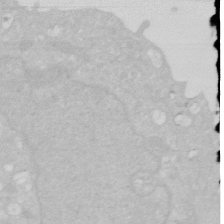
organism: Human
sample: HIV infected U937 cells